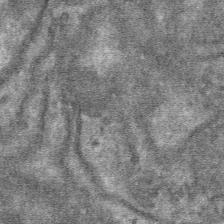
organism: Mouse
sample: Mouse hepatocytes